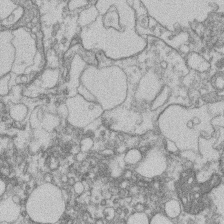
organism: Mouse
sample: T cell stromal cell synapse